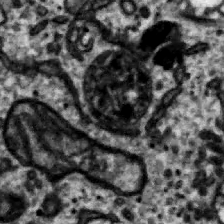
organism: Human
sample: HeLa cells